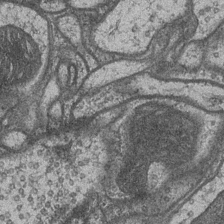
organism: Drosophila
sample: Optic medulla